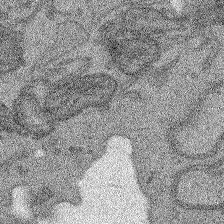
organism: Human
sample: HeLa cells